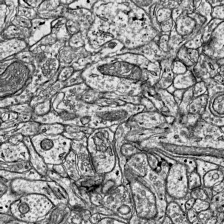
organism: Mouse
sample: Visual Cortex